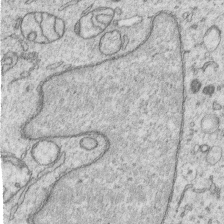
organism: Human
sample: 1205lu cells